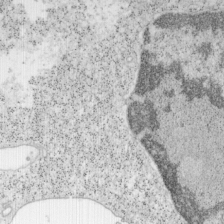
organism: Mouse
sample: OT-I killer T cells with ID8 ovarian cancer cells